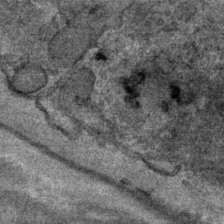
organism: Mouse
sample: Mouse Salivary gland